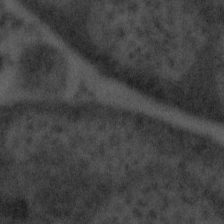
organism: Tuwongella immobilis